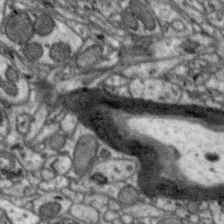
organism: Zebra finch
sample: Brain